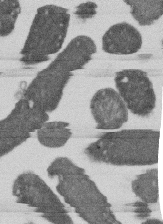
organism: E. coli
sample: Bacterial nucleoid